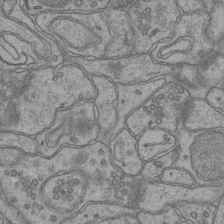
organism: Mouse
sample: CA1 Hippocampus